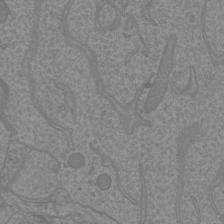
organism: Mouse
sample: Cortical neurons